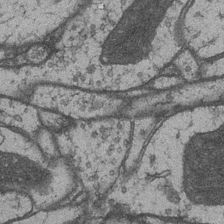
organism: Drosophila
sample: Optic medulla